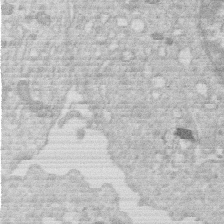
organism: Human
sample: Macrophage cells